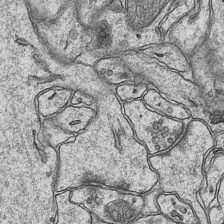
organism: Mouse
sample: CA1 Hippocampus